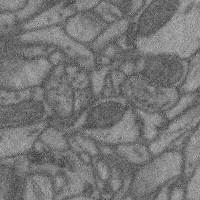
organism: Mouse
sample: Cerebral cortex